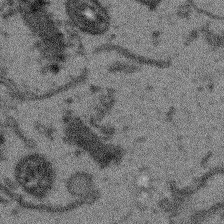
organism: Arabidopsis thaliana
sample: Root tip